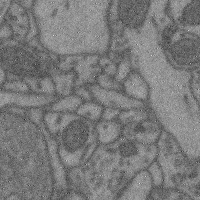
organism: Mouse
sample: Cerebral cortex